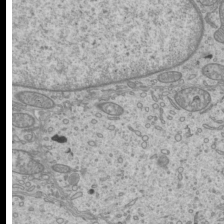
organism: Mouse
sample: Cilia; mouse epididymis